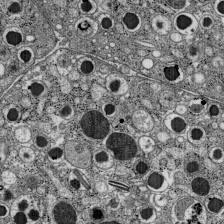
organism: C57BL Mouse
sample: Pancreatic islet